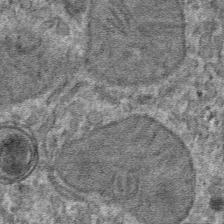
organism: Mouse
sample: Mouse hepatocytes